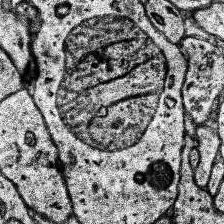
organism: Human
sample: Temporal Lobe